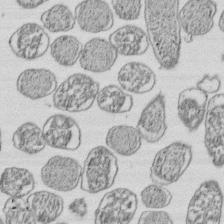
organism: E. coli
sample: Bacterial nucleoid